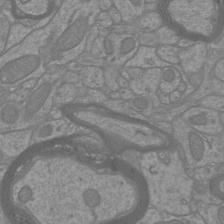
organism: Mouse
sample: Cortical neurons